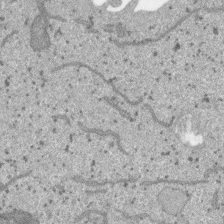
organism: Human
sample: Lung epithelial cells infected with SARS-CoV-2